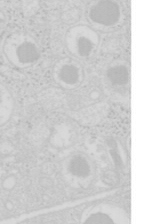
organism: Mouse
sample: Pancreas